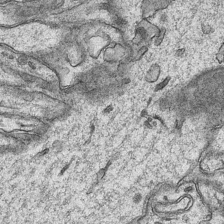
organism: Mouse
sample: CA1 Hippocampus